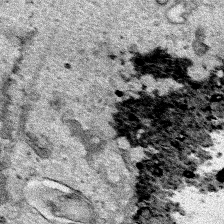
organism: Human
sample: Mitochondria in HCT116 cells